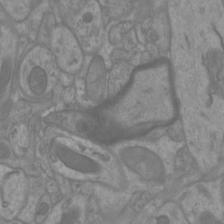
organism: Mouse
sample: Cortical neurons